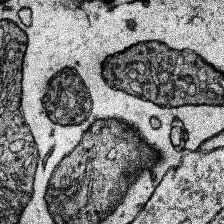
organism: Human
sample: Temporal Lobe